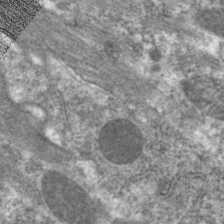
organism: C. elegans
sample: Pharynx